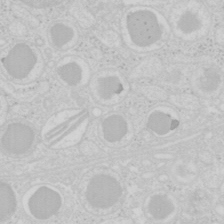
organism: Mouse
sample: Pancreas